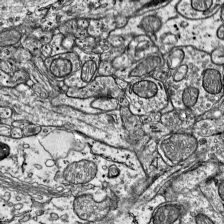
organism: Mouse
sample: Visual Cortex